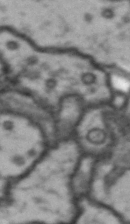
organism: Drosophila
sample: Brain